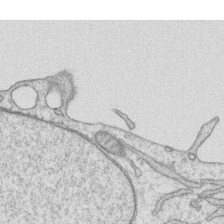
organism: Human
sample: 1205lu cells